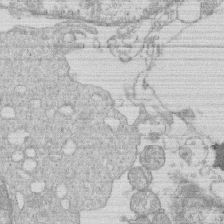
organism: Human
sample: Macrophage cells